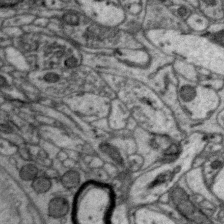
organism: Zebra finch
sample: Brain